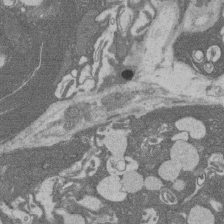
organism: Rat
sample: Salivary granule